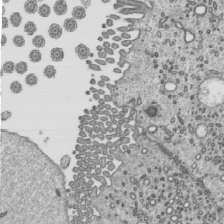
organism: Mouse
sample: Mouse epididymis efferent ductule cilia